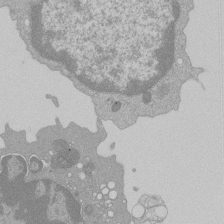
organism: Mouse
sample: Activated Pmel transgenic CD8+ T Cells